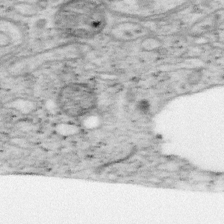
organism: Mouse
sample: OT-I killer T cells with ID8 ovarian cancer cells